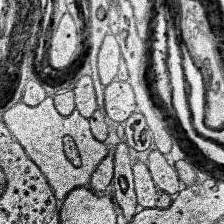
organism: Human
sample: Temporal Lobe